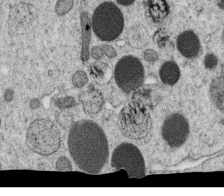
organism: C. elegans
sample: C. elegans oocyte; sperm cells